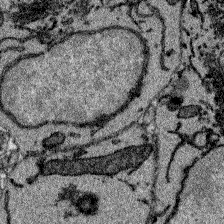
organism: Zebrafish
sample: Larval olfactory bulb